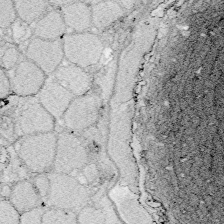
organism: Zebrafish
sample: Whole-Brain